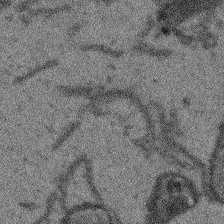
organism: Arabidopsis thaliana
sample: Root tip